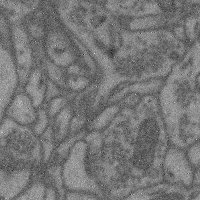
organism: Mouse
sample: Cerebral cortex